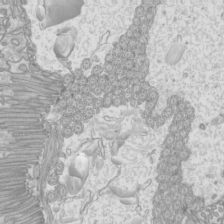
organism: Mouse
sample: Cilia; mouse epididymis